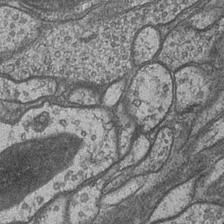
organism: Drosophila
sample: Optic medulla